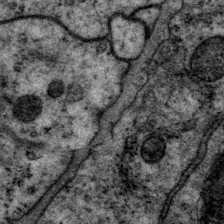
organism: P. pacificus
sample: Pharynx